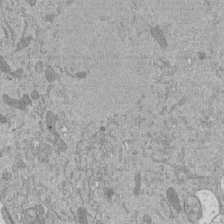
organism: Mouse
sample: ED-1 cell nuclei; centrioles